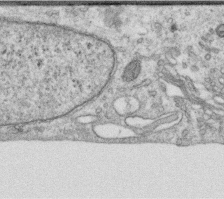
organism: Human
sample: Centriole in RPE cells